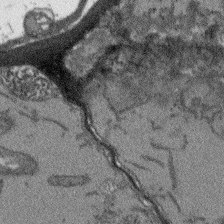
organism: Arabidopsis thaliana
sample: Root tip